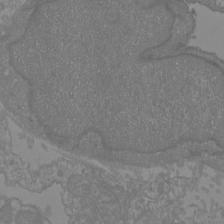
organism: Mouse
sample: Cortical neurons